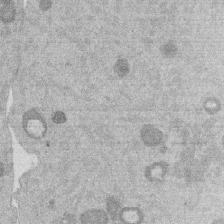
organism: Mouse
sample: Dividing mouse embryo 1 cell stage